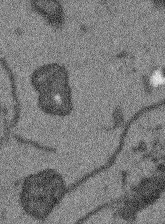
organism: Arabidopsis thaliana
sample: Root tip